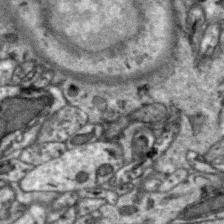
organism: Zebra finch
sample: Brain